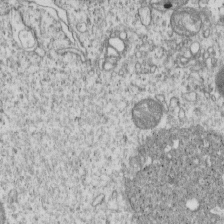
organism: Human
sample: MDA-MB-231 cells